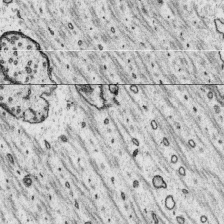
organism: Platynereis dumerilii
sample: Parapodia